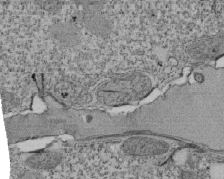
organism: Tetrahymena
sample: Cilia in tetrahymena